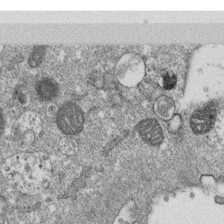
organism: African green monkey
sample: Vero E6 cells infected with SARS-CoV-2